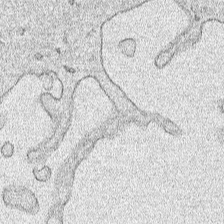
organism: Human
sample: Mitochondria in HCT116 cells